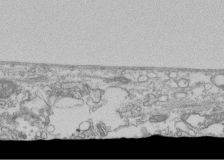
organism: Human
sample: Fibroblast cells